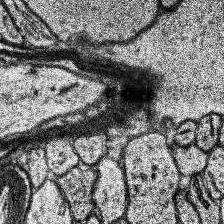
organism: Human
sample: Temporal Lobe